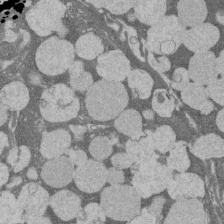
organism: Rat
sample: Salivary granule